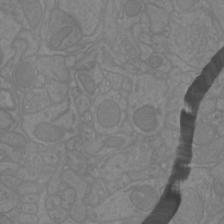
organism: Mouse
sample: Cortical neurons